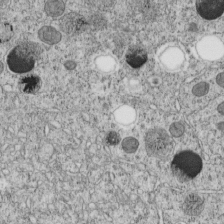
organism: C. elegans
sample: C. elegans embryo early stage